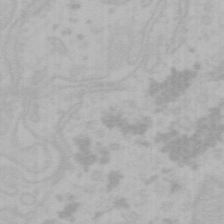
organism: Mouse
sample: Choroid plexus